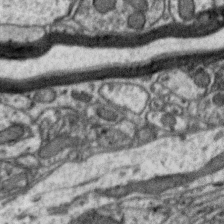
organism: Zebra finch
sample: Brain